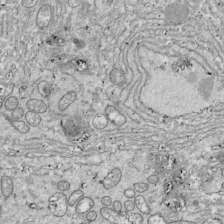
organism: Drosophila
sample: Cell division; meiosis; drosophila spermatocytes